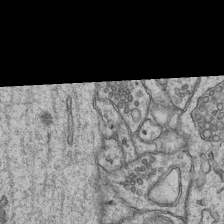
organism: Mouse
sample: CA1 Hippocampus